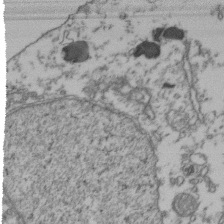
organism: Human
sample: Activated Jurkat CD4+ T cells